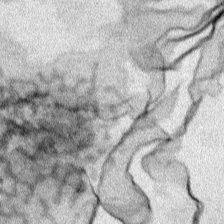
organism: Human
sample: Mitochondria in HCT116 cells